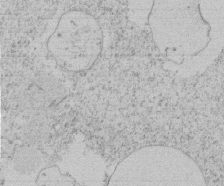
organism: Tetrahymena